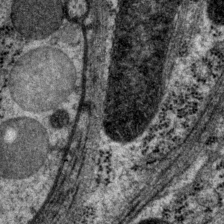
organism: P. pacificus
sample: Pharynx